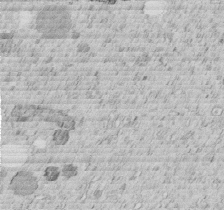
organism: C. elegans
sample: C. elegans embryo early stage